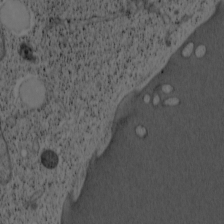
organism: African green monkey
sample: COS-7 cells